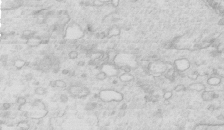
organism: Mouse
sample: Multiciliated cells